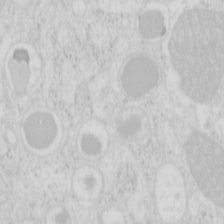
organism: Mouse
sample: Pancreas